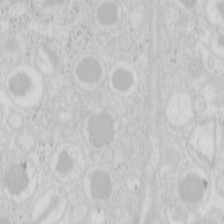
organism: Mouse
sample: Pancreas